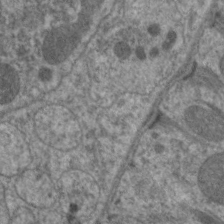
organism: C. elegans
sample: Pharynx